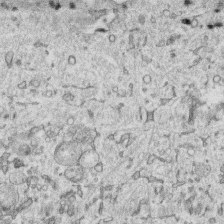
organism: Human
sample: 1205lu cells